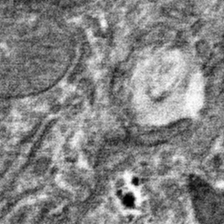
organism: Mouse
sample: Mouse hepatocytes